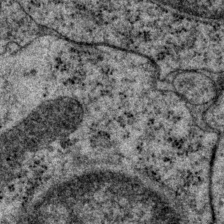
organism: P. pacificus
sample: Pharynx